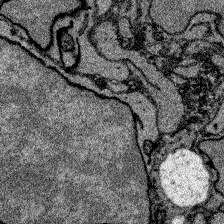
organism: Zebrafish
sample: Larval olfactory bulb